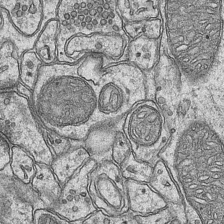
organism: Mouse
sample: CA1 Hippocampus